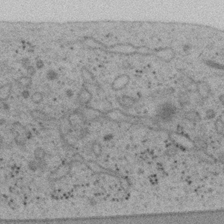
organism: Human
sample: HeLa cells